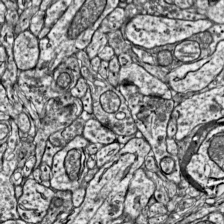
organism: Mouse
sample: Visual Cortex